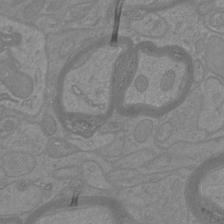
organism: Mouse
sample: Cortical neurons